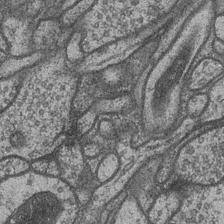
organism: Drosophila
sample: Optic medulla